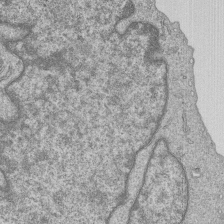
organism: Human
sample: MDA-MB-231 cells